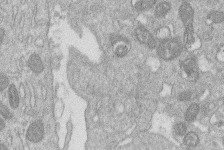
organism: Human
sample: Macrophage cells